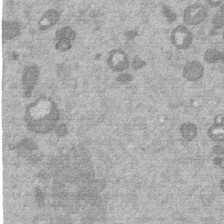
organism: Mouse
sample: Dividing mouse embryo 1 cell stage